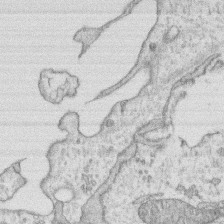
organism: Human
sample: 1205lu cells